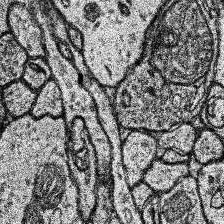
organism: Human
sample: Temporal Lobe